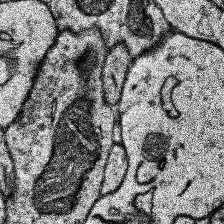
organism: Human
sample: Temporal Lobe